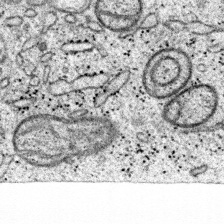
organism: Human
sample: HeLa cells